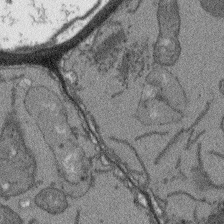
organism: Arabidopsis thaliana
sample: Root tip